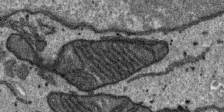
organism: Human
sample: Lung epithelial cells, uninfected (mock) control